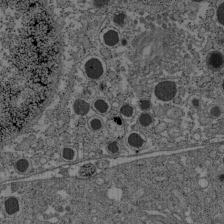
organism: C57BL Mouse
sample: Pancreatic islet